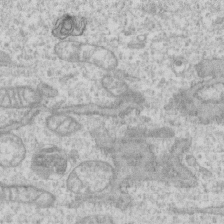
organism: Human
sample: CRL-1474